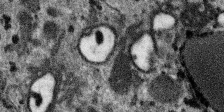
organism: Human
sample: Lung epithelial cells infected with SARS-CoV-2